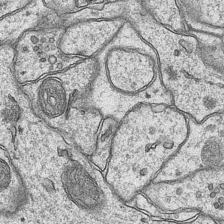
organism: Mouse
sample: CA1 Hippocampus